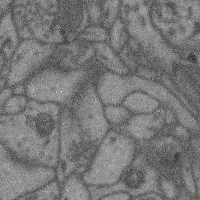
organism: Mouse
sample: Cerebral cortex